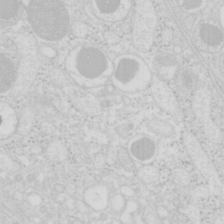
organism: Mouse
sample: Pancreas